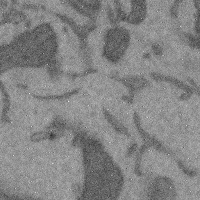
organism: Mouse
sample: Cerebral cortex